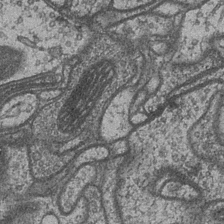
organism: Drosophila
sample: Optic medulla